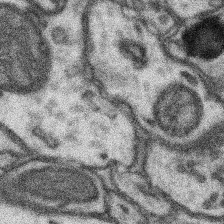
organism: Mouse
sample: Somatosensory cortex neuropil